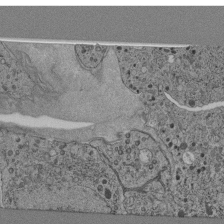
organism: C. elegans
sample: C. elegans pharynx